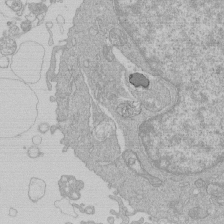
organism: Human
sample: Macrophage cells